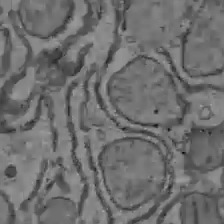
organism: C57BL Mouse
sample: Liver